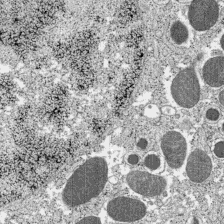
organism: C57BL Mouse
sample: Pancreatic islet